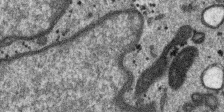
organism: Human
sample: Lung epithelial cells infected with SARS-CoV-2